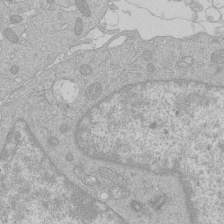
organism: Human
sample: Macrophage cells